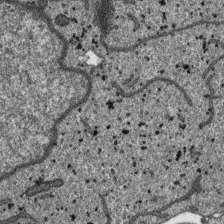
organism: Human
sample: Lung epithelial cells infected with SARS-CoV-2